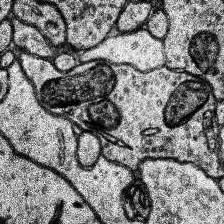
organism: Human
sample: Temporal Lobe